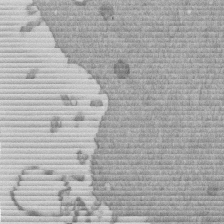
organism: Mouse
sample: Dividing mouse embryo 1 cell stage